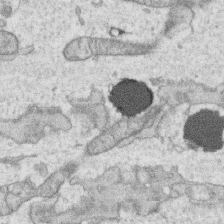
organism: Human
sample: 1205lu cells